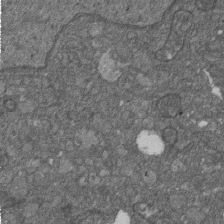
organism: Drosophila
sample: Nephrocyte